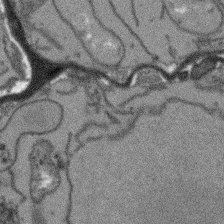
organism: Arabidopsis thaliana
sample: Root tip